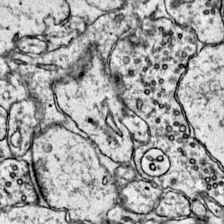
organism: Mouse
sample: Primary visual cortex